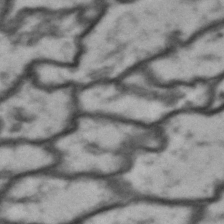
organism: Drosophila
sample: Brain